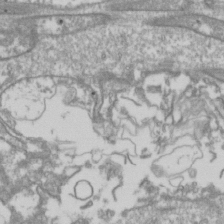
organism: Drosophila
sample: Cell division; meiosis; drosophila spermatocytes